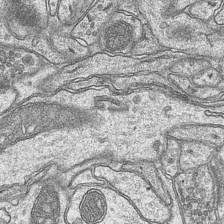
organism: Mouse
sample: CA1 Hippocampus